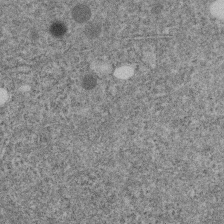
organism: C. elegans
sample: C. elegans embryo early stage